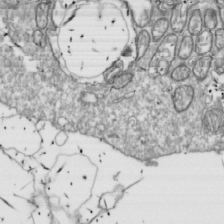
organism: Drosophila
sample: Cell division; meiosis; drosophila spermatocytes